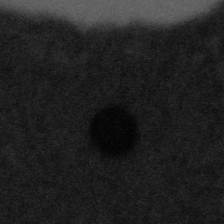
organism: Tuwongella immobilis